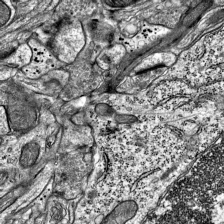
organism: Mouse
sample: Visual Cortex